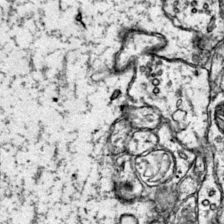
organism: Mouse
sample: Primary visual cortex